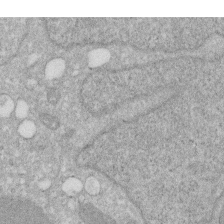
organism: Human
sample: HIV infected U937 cells